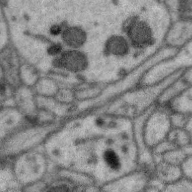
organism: Zebra finch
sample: Brain